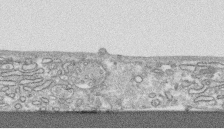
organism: Human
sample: CRL-1474